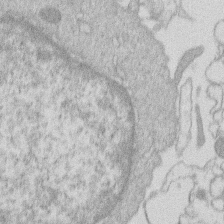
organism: Human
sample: Macrophage cells